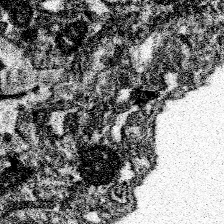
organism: Spongilla lacustris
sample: Neuroid cell